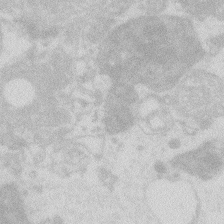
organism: Zebrafish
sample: Macrophage